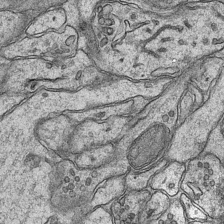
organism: Mouse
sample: CA1 Hippocampus